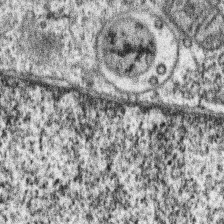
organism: Human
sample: HeLa cells